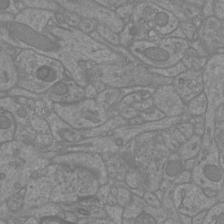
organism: Mouse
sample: Cortical neurons